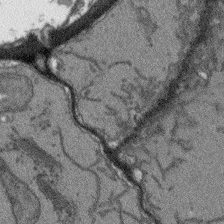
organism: Arabidopsis thaliana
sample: Root tip